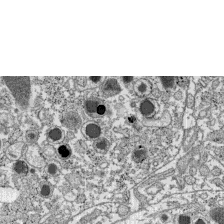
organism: C57BL Mouse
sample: Pancreatic islet